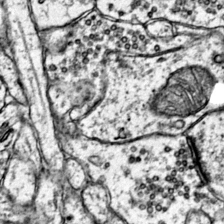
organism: Mouse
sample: Primary visual cortex